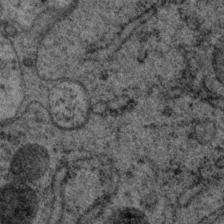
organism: P. pacificus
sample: Pharynx